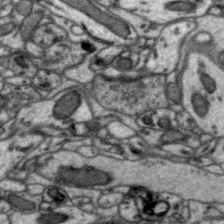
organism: Zebra finch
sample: Brain